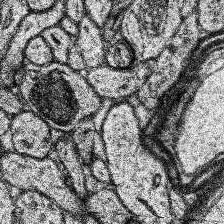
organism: Human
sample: Temporal Lobe